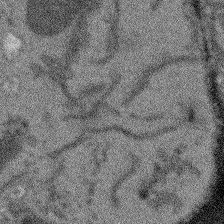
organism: Arabidopsis thaliana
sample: Root tip